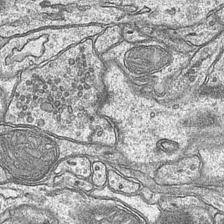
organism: Mouse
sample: CA1 Hippocampus